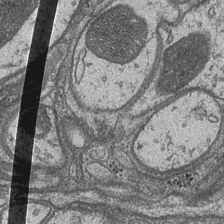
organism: Drosophila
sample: Optic medulla